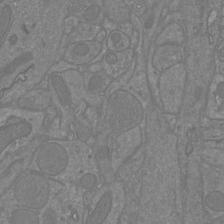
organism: Mouse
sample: Cortical neurons